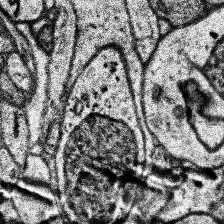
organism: Human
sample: Temporal Lobe